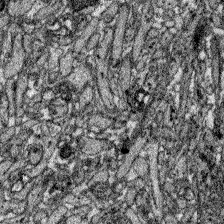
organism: Zebrafish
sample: Larval olfactory bulb